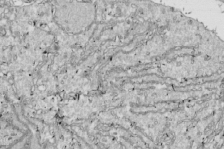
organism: Drosophila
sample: Cell division; meiosis; drosophila spermatocytes